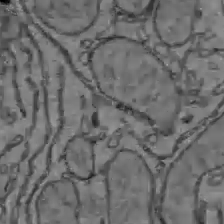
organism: C57BL Mouse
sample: Liver